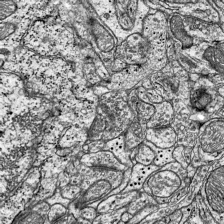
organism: Mouse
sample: Visual Cortex